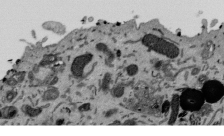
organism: Mouse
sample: ED-1 cell nuclei; centrioles